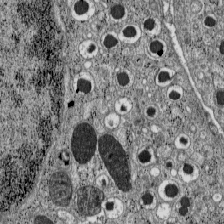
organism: C57BL Mouse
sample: Pancreatic islet